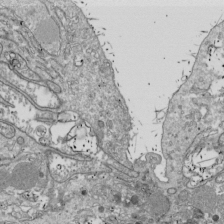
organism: Drosophila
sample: Cell division; meiosis; drosophila spermatocytes